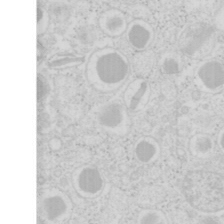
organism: Mouse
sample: Pancreas